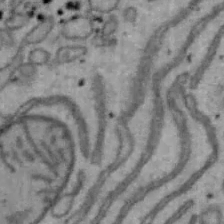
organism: Mouse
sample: Liver